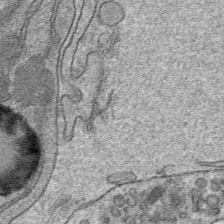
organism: Mouse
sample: Mouse hepatocytes